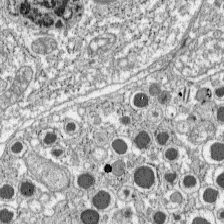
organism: C57BL Mouse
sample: Pancreatic islet